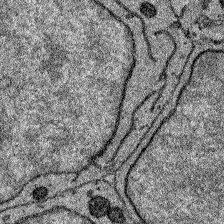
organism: Zebrafish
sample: Larval olfactory bulb